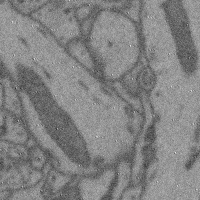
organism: Mouse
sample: Cerebral cortex